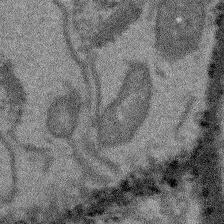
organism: Arabidopsis thaliana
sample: Root tip